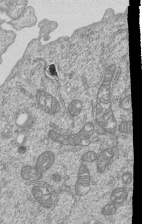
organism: Human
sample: MDA-MB-231 cells